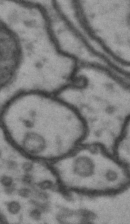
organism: Drosophila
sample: Brain